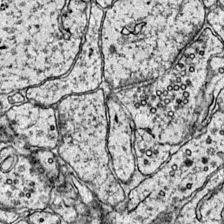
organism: Mouse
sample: Primary visual cortex